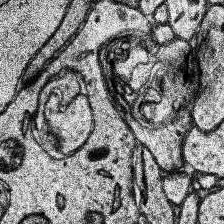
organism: Human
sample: Temporal Lobe